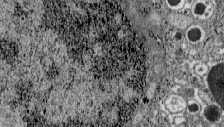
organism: C57BL Mouse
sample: Pancreatic islet